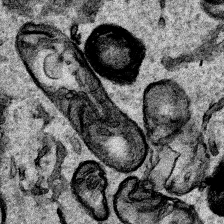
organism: Human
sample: Mitochondria in HCT116 cells